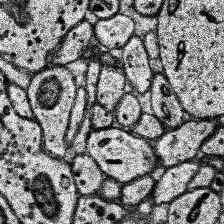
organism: Human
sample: Temporal Lobe